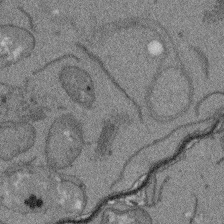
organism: Arabidopsis thaliana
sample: Root tip